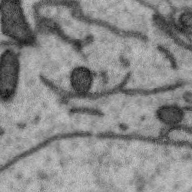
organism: Zebra finch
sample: Brain